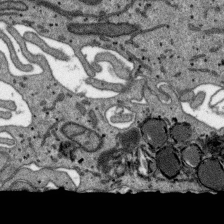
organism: Human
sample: Lung epithelial cells, uninfected (mock) control